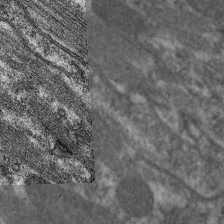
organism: C. elegans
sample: Pharynx